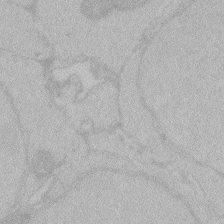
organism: Zebrafish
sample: Macrophage infected with Toxoplasma gondii